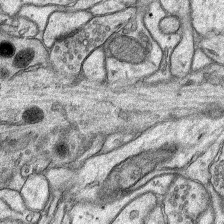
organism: Rat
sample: Hippocampus